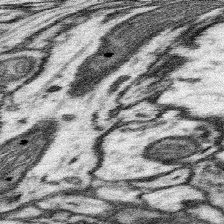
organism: Mouse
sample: Somatosensory cortex neuropil